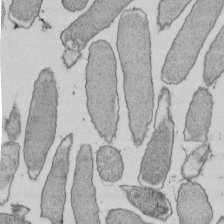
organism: E. coli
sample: Bacterial nucleoid